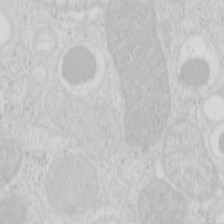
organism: Mouse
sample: Pancreas